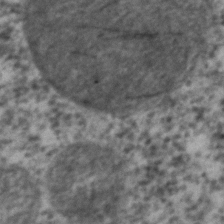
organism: C. elegans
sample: C. elegans embryo